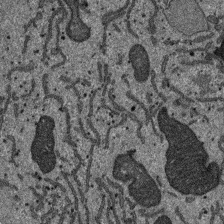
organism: Human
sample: Lung epithelial cells infected with SARS-CoV-2